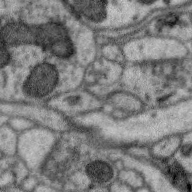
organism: Zebra finch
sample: Brain